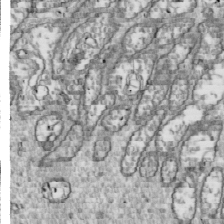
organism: Drosophila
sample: Cell division; meiosis; drosophila spermatocytes